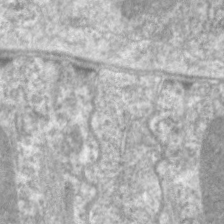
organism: C. elegans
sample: Pharynx